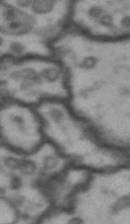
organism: Drosophila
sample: Brain